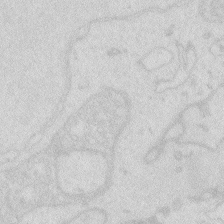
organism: Zebrafish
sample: Macrophage